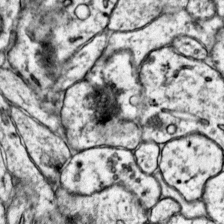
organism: Mouse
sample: Primary visual cortex